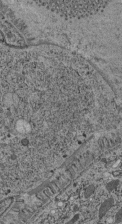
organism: C. elegans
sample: C. elegans pharynx